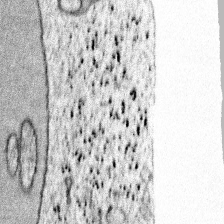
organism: Human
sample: HeLa cells